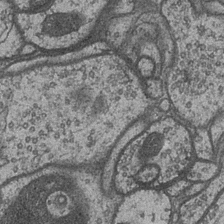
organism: Drosophila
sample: Optic medulla